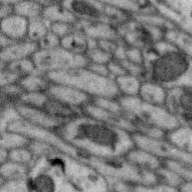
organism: Zebra finch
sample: Brain